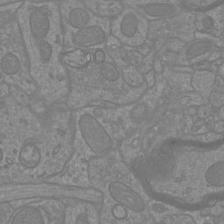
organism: Mouse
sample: Cortical neurons